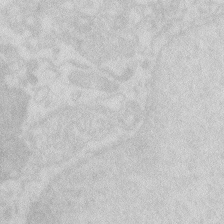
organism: Zebrafish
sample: Macrophage